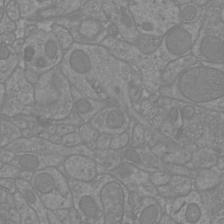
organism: Mouse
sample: Cortical neurons